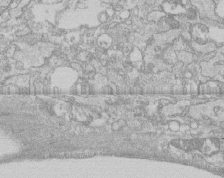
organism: Human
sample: CRL-1474